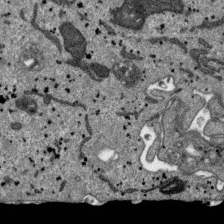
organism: Human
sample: Lung epithelial cells, uninfected (mock) control